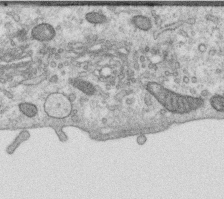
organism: Human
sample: Centriole in RPE cells